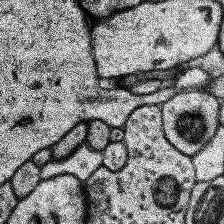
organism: Human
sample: Temporal Lobe